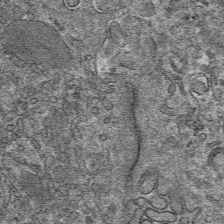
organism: Mouse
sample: Mouse hepatocytes